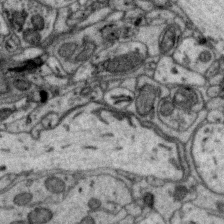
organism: Zebra finch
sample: Brain